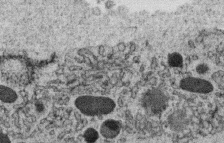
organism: C. elegans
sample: C. elegans oocyte; sperm cells